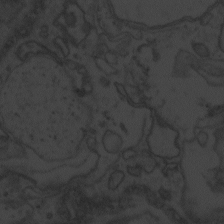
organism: Zebrafish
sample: Macrophage infected with Toxoplasma gondii